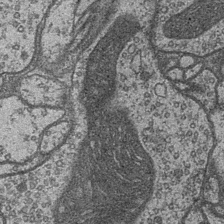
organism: Drosophila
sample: Optic medulla